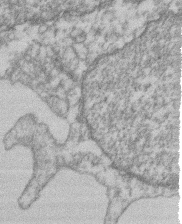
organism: Mouse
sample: T cell stromal cell synapse